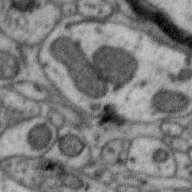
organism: Zebra finch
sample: Brain